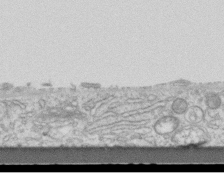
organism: Mouse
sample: Centriole in ependymal cells